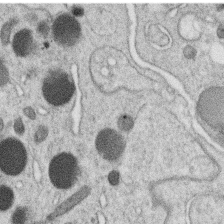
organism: C. elegans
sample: C. elegans oocyte; sperm cells